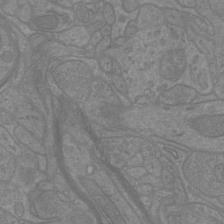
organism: Mouse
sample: Cortical neurons